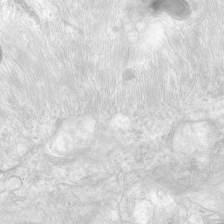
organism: Human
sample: Neocortex